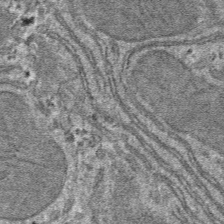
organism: Mouse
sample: Mouse hepatocytes